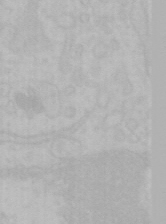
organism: Mouse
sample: Choroid plexus